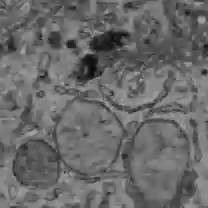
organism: C57BL Mouse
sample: Liver